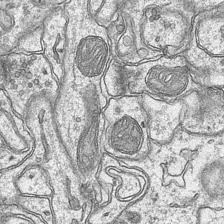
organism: Mouse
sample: CA1 Hippocampus